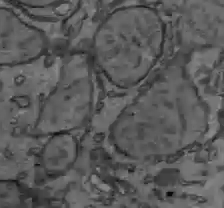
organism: C57BL Mouse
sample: Liver